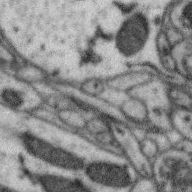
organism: Zebra finch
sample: Brain